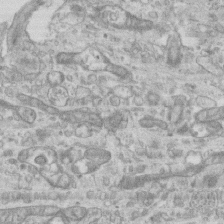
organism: Mouse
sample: Centriole in ependymal cells